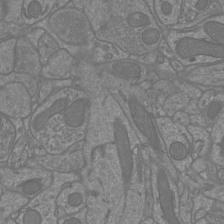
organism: Mouse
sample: Cortical neurons